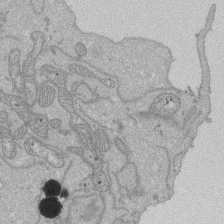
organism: Human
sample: Activated Jurkat CD4+ T cells